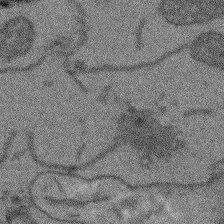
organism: Arabidopsis thaliana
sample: Root tip